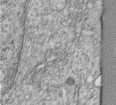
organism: Human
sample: Centriole in RPE cells